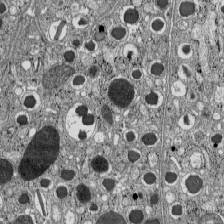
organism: C57BL Mouse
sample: Pancreatic islet